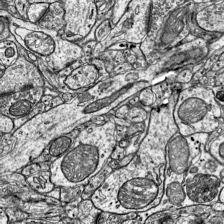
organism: Mouse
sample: Visual Cortex